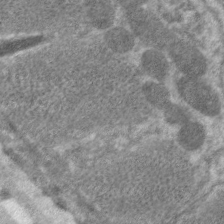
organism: C. elegans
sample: Pharynx